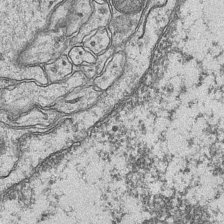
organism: Mouse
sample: CA1 Hippocampus